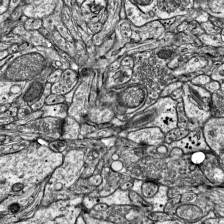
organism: Mouse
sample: Visual Cortex